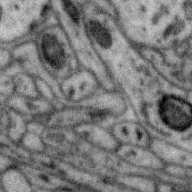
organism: Zebra finch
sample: Brain